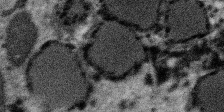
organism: Human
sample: Lung epithelial cells infected with SARS-CoV-2